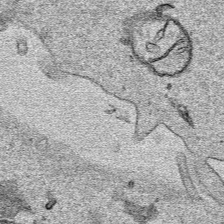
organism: Human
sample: Mitochondria in HCT116 cells